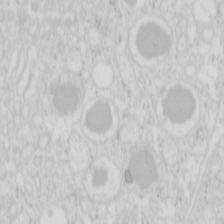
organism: Mouse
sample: Pancreas